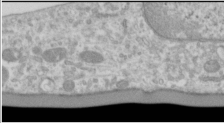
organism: Human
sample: Cilia; basal body in RPE cells